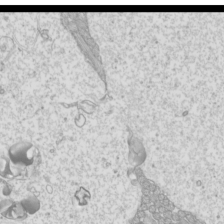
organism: Mouse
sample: Cilia; mouse epididymis